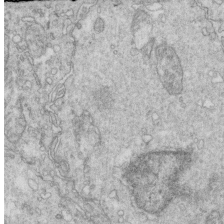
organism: Mouse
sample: Multiciliated cells